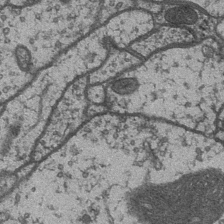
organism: Drosophila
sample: Optic medulla